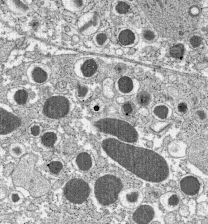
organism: C57BL Mouse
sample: Pancreatic islet